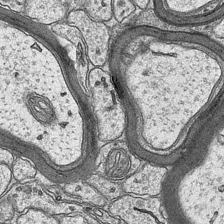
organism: Mouse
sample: CA1 Hippocampus